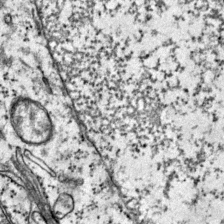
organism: Mouse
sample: Primary visual cortex